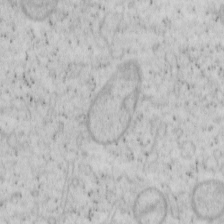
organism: Human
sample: HeLa cells